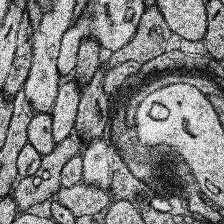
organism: Human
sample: Temporal Lobe